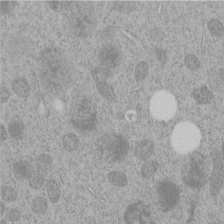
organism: C. elegans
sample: C. elegans embryo early stage